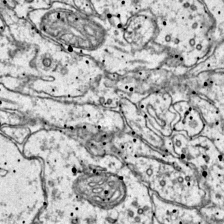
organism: Mouse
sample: Primary visual cortex